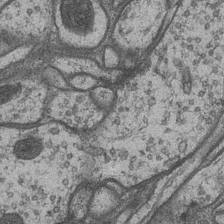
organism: Drosophila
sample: Optic medulla